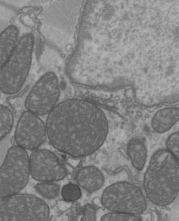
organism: C57BL Mouse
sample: Heart